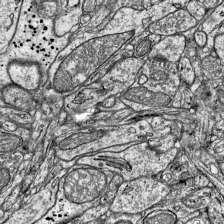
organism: Mouse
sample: Visual Cortex